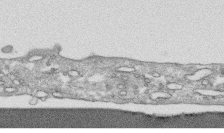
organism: Human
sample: CRL-1474